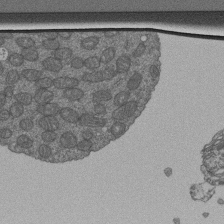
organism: Human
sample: Retinal organoid Rod and Cone cells